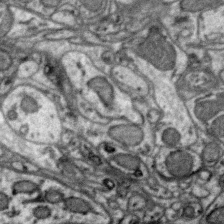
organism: Zebra finch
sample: Brain